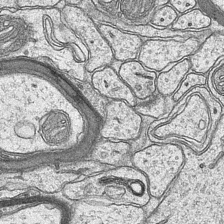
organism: Mouse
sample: CA1 Hippocampus